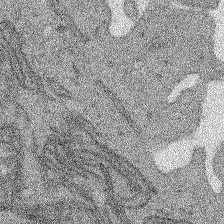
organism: Human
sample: HeLa cells